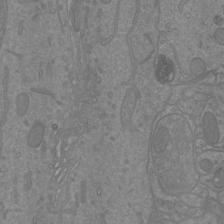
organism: Mouse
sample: Cortical neurons